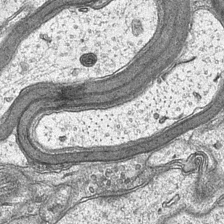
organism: Mouse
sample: CA1 Hippocampus